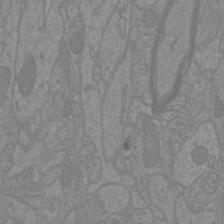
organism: Mouse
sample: Cortical neurons